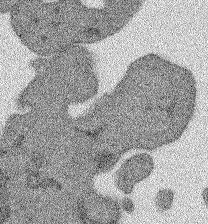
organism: Human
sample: HeLa cells